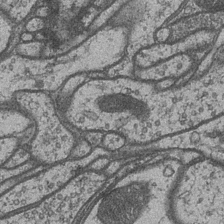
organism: Drosophila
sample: Optic medulla